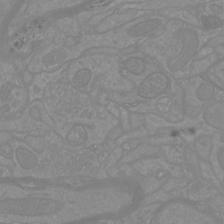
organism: Mouse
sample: Cortical neurons